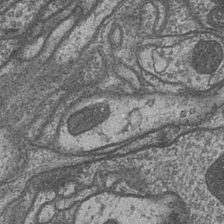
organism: Drosophila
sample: Optic medulla